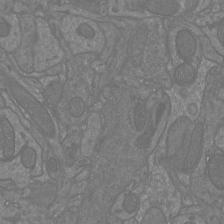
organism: Mouse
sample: Cortical neurons